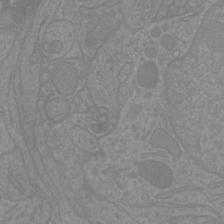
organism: Mouse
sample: Cortical neurons